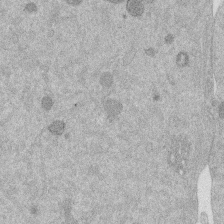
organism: Mouse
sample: Dividing mouse embryo 1 cell stage